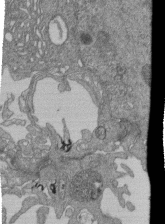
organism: Human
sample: Retinal organoid Rod and Cone cells